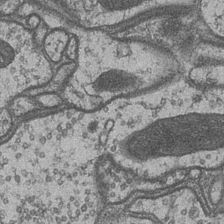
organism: Drosophila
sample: Optic medulla